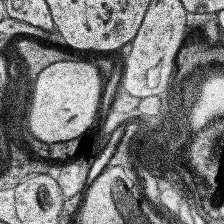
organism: Human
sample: Temporal Lobe